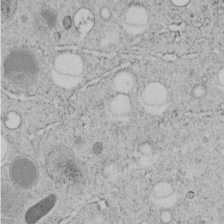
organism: C. elegans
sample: C. elegans embryo early stage